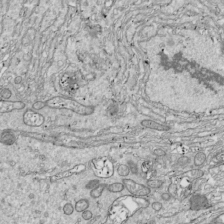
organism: Drosophila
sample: Cell division; meiosis; drosophila spermatocytes